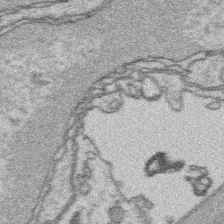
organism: Platynereis dumerilii